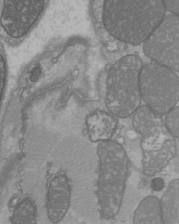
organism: C57BL Mouse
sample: Heart